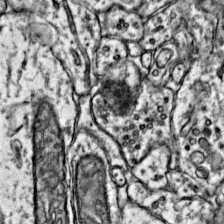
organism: Mouse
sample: Primary visual cortex